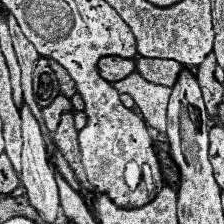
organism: Human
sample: Temporal Lobe